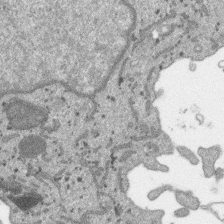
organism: Human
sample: Lung epithelial cells infected with SARS-CoV-2